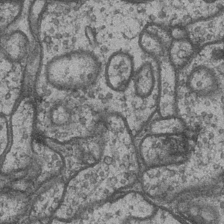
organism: Drosophila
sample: Optic medulla